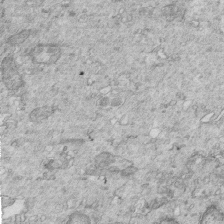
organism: Mouse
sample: Multiciliated cells